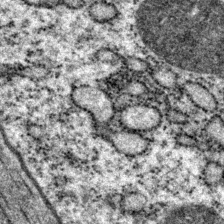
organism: P. pacificus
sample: Pharynx